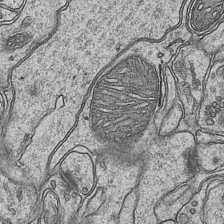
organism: Mouse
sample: CA1 Hippocampus